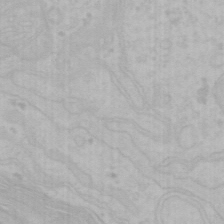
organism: Mouse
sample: Choroid plexus